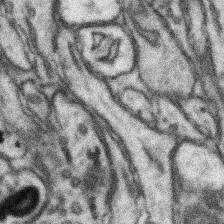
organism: Mouse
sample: Somatosensory cortex neuropil